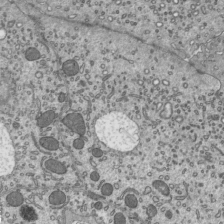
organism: Mouse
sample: Mouse epididymis efferent ductule cilia